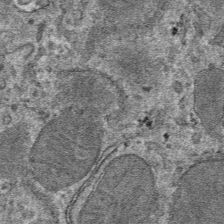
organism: Mouse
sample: Mouse hepatocytes